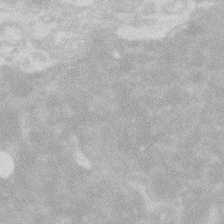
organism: Zebrafish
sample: Macrophage